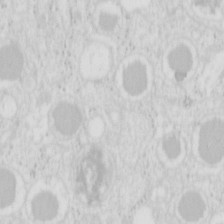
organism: Mouse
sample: Pancreas